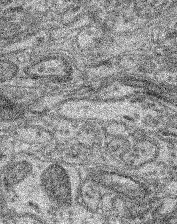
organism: Mouse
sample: Retina